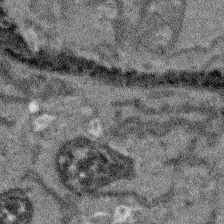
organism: Arabidopsis thaliana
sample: Root tip